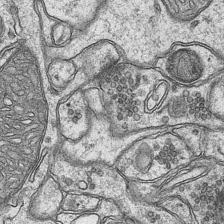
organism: Mouse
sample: CA1 Hippocampus